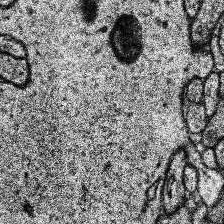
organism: Human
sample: Temporal Lobe